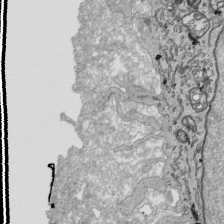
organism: Human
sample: Mitochondria in HCT116 cells